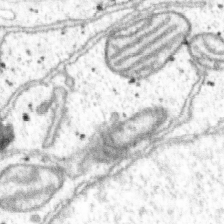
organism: Human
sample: HeLa cells